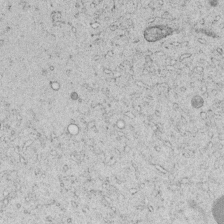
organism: C. elegans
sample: C. elegans embryo early stage